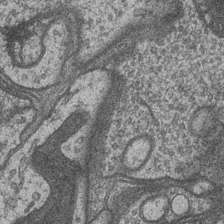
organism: Drosophila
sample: Optic medulla